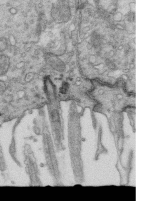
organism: Mouse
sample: Multiciliated cells